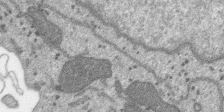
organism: Human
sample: Lung epithelial cells infected with SARS-CoV-2